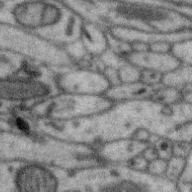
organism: Zebra finch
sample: Brain